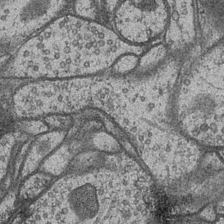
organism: Drosophila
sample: Optic medulla